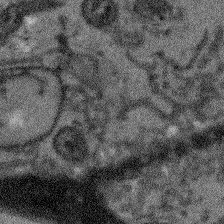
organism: Arabidopsis thaliana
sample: Root tip